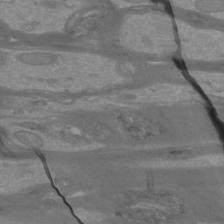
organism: Mouse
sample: Cortical neurons